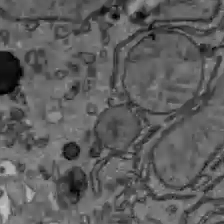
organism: C57BL Mouse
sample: Liver